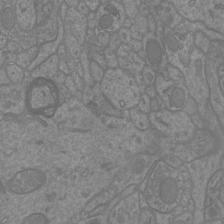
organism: Mouse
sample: Cortical neurons